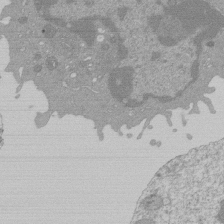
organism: Mouse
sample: Activated Pmel transgenic CD8+ T Cells